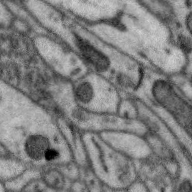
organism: Zebra finch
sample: Brain